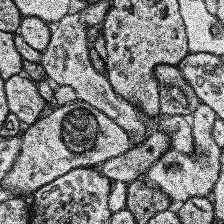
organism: Human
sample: Temporal Lobe